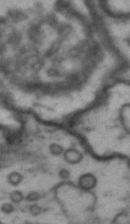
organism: Drosophila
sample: Brain